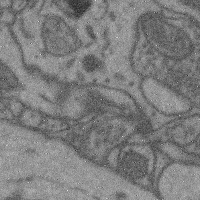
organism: Mouse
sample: Cerebral cortex